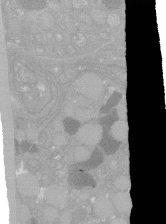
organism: C. elegans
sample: C. elegans oocyte; sperm cells